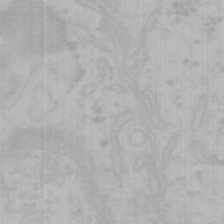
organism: Mouse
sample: Choroid plexus